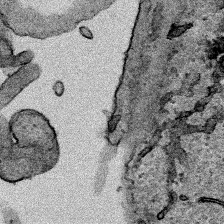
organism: Human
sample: Mitochondria in HCT116 cells